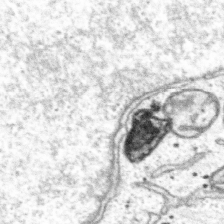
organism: Human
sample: HeLa cells